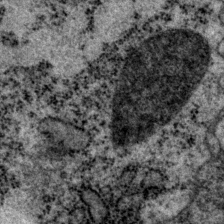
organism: P. pacificus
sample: Pharynx